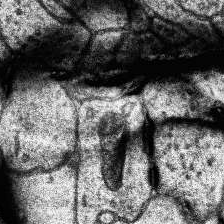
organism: Human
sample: Temporal Lobe